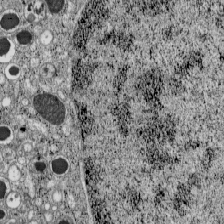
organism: C57BL Mouse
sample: Pancreatic islet